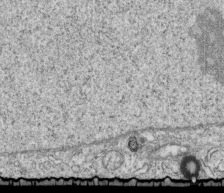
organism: Human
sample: HeLa cell HIV synapse